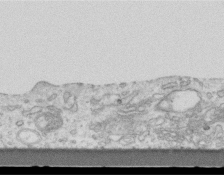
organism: Mouse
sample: Centriole in ependymal cells